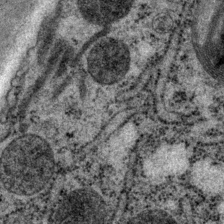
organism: P. pacificus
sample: Pharynx